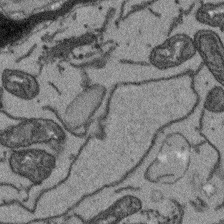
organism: Arabidopsis thaliana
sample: Root tip